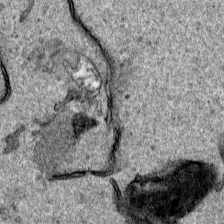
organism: Human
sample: Mitochondria in HCT116 cells